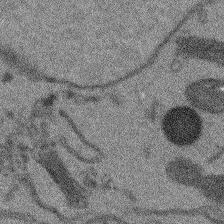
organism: Arabidopsis thaliana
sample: Root tip